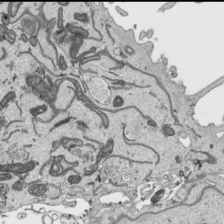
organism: Human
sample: Mitochondria in HCT116 cells